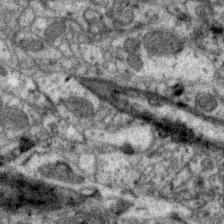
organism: Zebra finch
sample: Brain